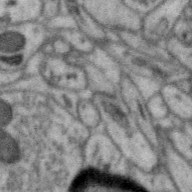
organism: Zebra finch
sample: Brain